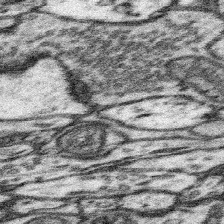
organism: Mouse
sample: Somatosensory cortex neuropil